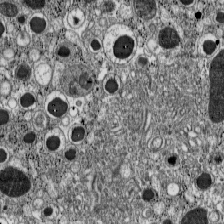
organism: C57BL Mouse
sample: Pancreatic islet